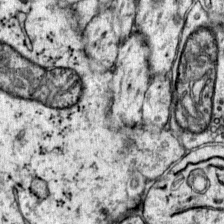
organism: Mouse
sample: Primary visual cortex